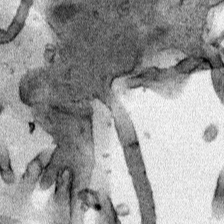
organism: Human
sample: Mitochondria in HCT116 cells